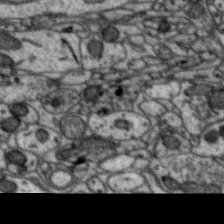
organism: Zebra finch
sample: Brain